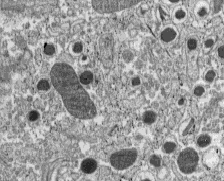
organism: C57BL Mouse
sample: Pancreatic islet